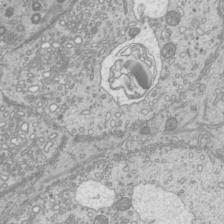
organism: Mouse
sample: Cilia; mouse epididymis